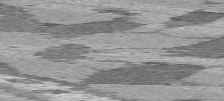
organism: C57BL Mouse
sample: Heart